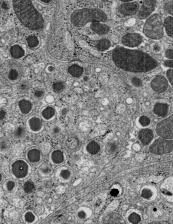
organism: C57BL Mouse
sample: Pancreatic islet